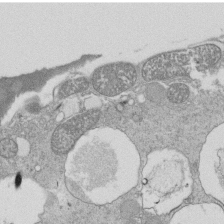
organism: Tetrahymena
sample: Cilia in tetrahymena